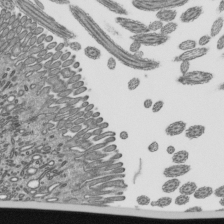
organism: Mouse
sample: Mouse epididymis efferent ductule cilia